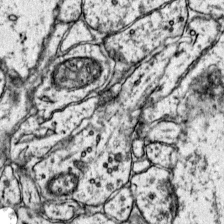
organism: Mouse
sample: Primary visual cortex